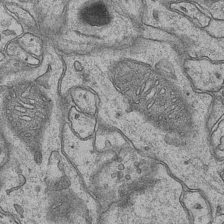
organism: Mouse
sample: CA1 Hippocampus